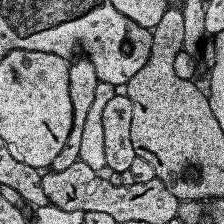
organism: Human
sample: Temporal Lobe